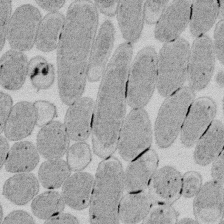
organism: E. coli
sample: Bacterial nucleoid